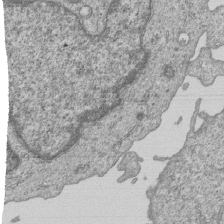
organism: Human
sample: MDA-MB-231 cells